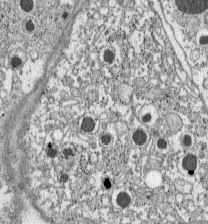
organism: C57BL Mouse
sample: Pancreatic islet